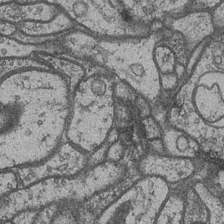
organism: Drosophila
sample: Optic medulla